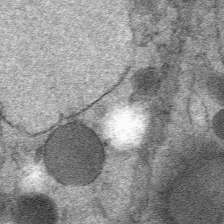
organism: Mouse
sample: Mouse Salivary gland